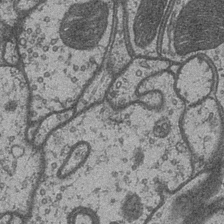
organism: Drosophila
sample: Optic medulla